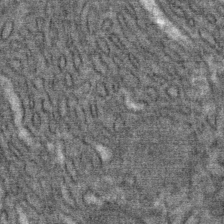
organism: Mouse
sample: Mouse Salivary gland